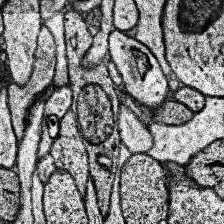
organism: Human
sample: Temporal Lobe